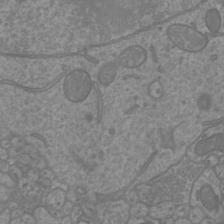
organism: Mouse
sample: Cortical neurons